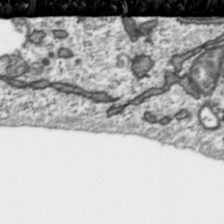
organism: Toxoplasma gondii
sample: Parasites in a vacuole inside a host cell